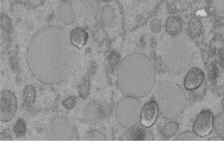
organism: C. elegans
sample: C. elegans embryo early stage